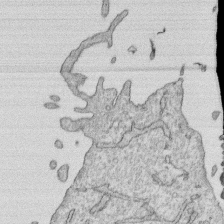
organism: Human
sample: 1205lu cells